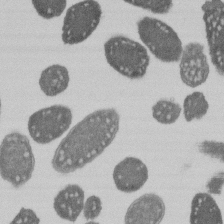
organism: E. coli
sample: Bacterial nucleoid